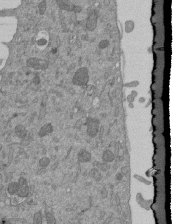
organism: Mouse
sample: ED-1 cell nuclei; centrioles